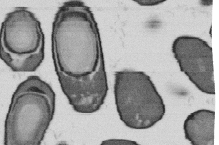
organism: B. subtilis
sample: Bacterial spore